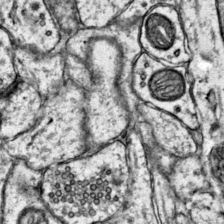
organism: Mouse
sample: Primary visual cortex